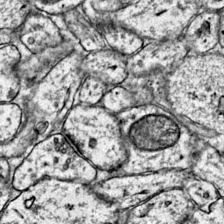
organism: Mouse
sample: Primary visual cortex